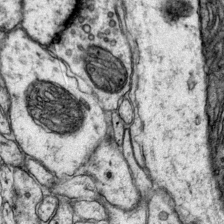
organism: Mouse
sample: Primary visual cortex